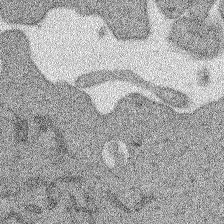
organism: Human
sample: HeLa cells